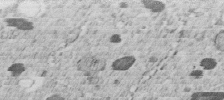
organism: C. elegans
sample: C. elegans embryo early stage